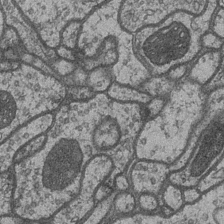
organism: Drosophila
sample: Optic medulla